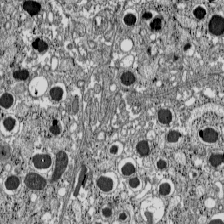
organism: C57BL Mouse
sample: Pancreatic islet